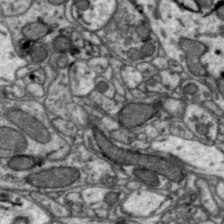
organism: Zebra finch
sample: Brain